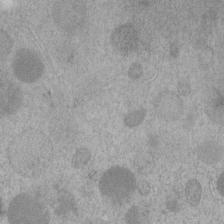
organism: C. elegans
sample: C. elegans embryo early stage